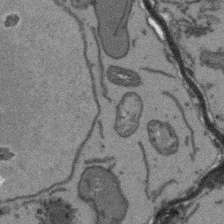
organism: Arabidopsis thaliana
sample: Root tip